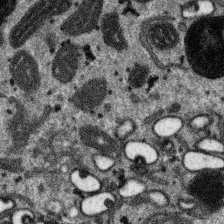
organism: Human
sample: Lung epithelial cells infected with SARS-CoV-2